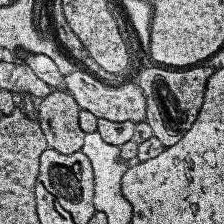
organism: Human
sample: Temporal Lobe